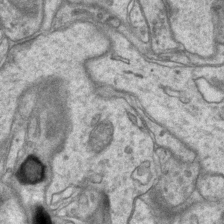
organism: Mouse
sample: CA1 Hippocampus